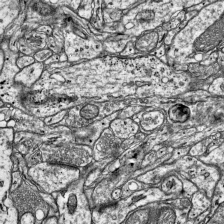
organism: Mouse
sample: Visual Cortex